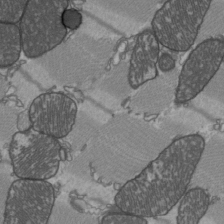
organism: C57BL Mouse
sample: Heart